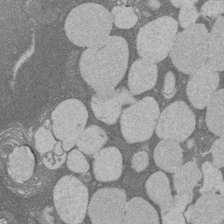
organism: Rat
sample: Salivary granule